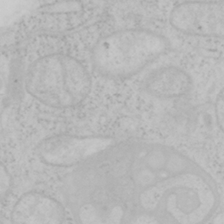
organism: Mouse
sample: OT-I killer T cells with ID8 ovarian cancer cells